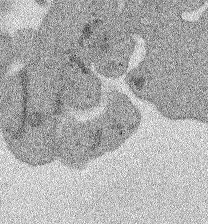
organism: Human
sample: HeLa cells